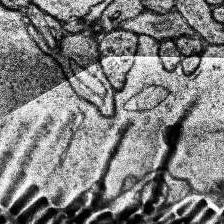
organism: Human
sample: Temporal Lobe